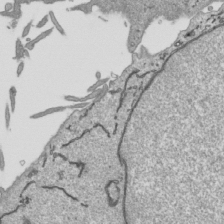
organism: Human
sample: Mitochondria in HCT116 cells